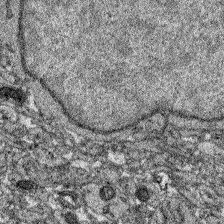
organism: Zebrafish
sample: Larval olfactory bulb